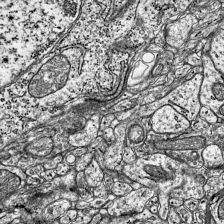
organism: Mouse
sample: Visual Cortex